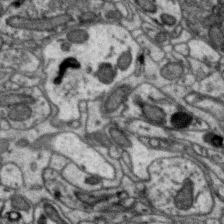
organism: Zebra finch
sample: Brain